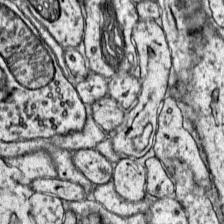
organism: Mouse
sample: Primary visual cortex